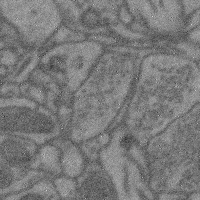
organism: Mouse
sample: Cerebral cortex